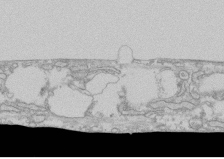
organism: Human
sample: CRL-1474